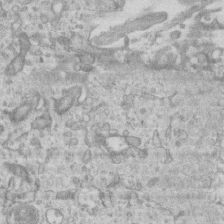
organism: Mouse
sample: Centriole in ependymal cells